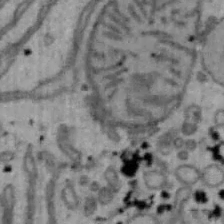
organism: Mouse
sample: Liver